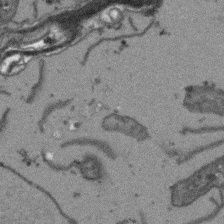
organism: Arabidopsis thaliana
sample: Root tip